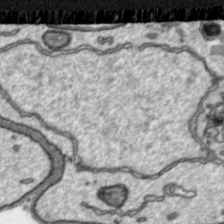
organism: Toxoplasma gondii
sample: Parasites in a vacuole inside a host cell